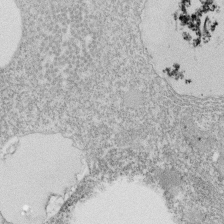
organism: Tetrahymena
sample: Cilia in tetrahymena